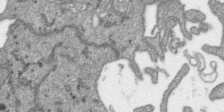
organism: Human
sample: Lung epithelial cells infected with SARS-CoV-2